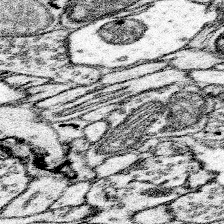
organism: Mouse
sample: Somatosensory cortex neuropil